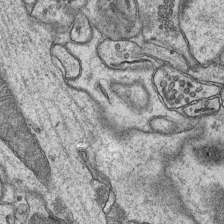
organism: Mouse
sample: CA1 Hippocampus